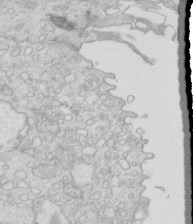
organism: Mouse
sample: Multiciliated cells